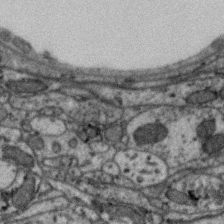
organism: Zebra finch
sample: Brain